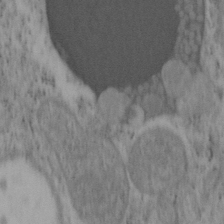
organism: Mouse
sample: OT-I killer T cells with ID8 ovarian cancer cells